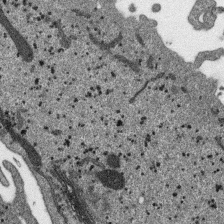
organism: Human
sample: Lung epithelial cells infected with SARS-CoV-2